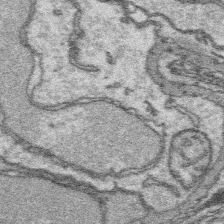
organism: Platynereis dumerilii